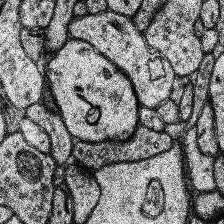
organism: Human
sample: Temporal Lobe